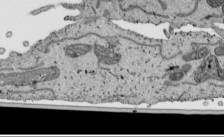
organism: Human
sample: Mitochondria in HCT116 cells